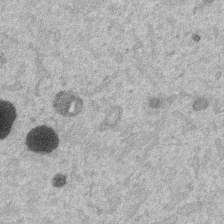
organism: Mouse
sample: Dividing mouse embryo 1 cell stage